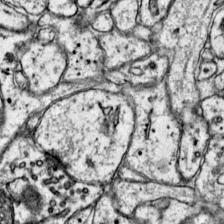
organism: Mouse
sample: Primary visual cortex